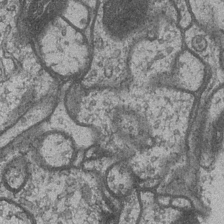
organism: Drosophila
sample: Optic medulla